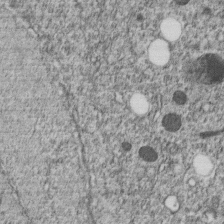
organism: C. elegans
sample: C. elegans embryo early stage